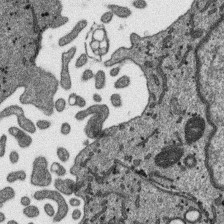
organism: Human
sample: Lung epithelial cells infected with SARS-CoV-2